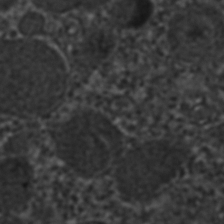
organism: C. elegans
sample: C. elegans embryo